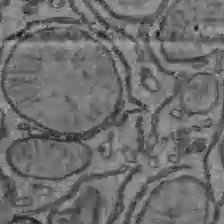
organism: C57BL Mouse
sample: Liver